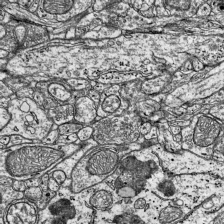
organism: Mouse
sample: Visual Cortex